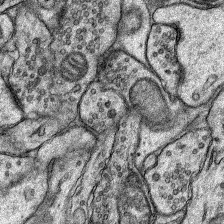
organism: Rat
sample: Hippocampus